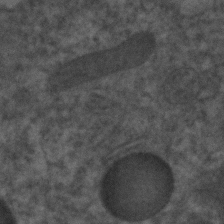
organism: C. elegans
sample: C. elegans embryo